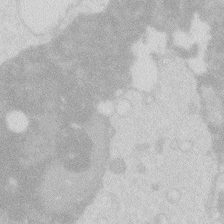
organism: Zebrafish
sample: Macrophage